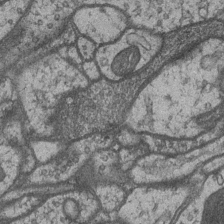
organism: Drosophila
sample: Optic medulla